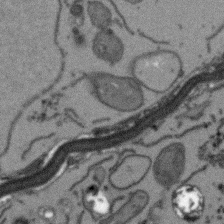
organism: Arabidopsis thaliana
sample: Root tip